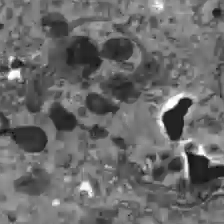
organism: C57BL Mouse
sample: Liver